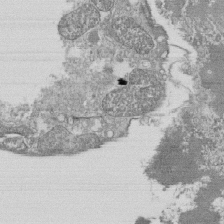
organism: Tetrahymena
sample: Cilia in tetrahymena